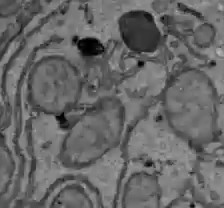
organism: C57BL Mouse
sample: Liver